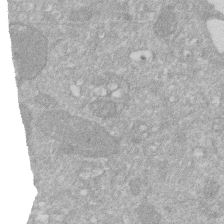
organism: Human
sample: HIV infected U937 cells